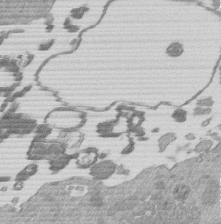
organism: Mouse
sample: Dividing mouse embryo 1 cell stage